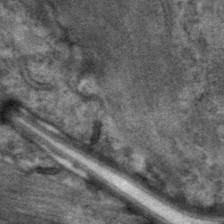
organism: C. elegans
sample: Pharynx